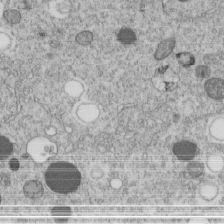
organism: C. elegans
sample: C. elegans embryo early stage